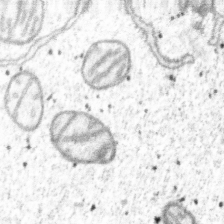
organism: Human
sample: HeLa cells